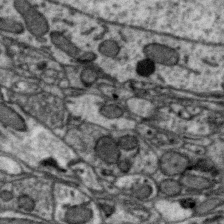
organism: Zebra finch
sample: Brain